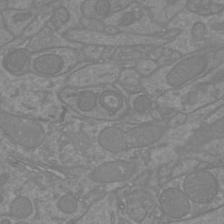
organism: Mouse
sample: Cortical neurons